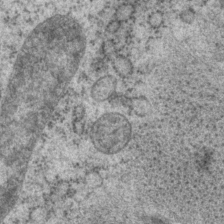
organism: P. pacificus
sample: Pharynx